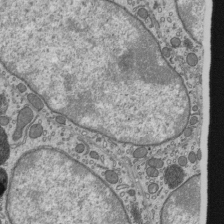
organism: Mouse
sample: Mouse epididymis efferent ductule cilia